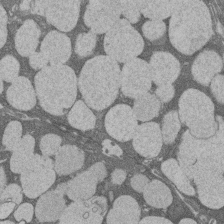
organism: Rat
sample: Salivary granule